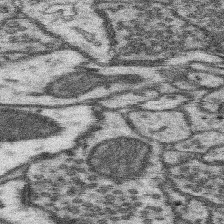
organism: Mouse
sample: Somatosensory cortex neuropil